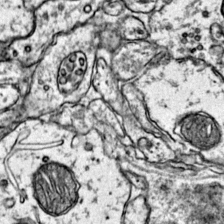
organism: Mouse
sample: Primary visual cortex